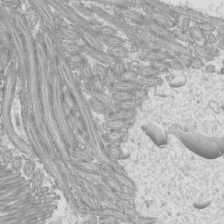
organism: Mouse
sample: Cilia; mouse epididymis